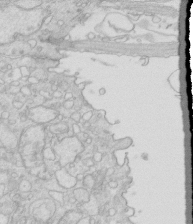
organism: Mouse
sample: Multiciliated cells